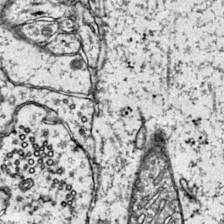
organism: Mouse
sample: Primary visual cortex